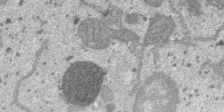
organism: Human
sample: Lung epithelial cells infected with SARS-CoV-2